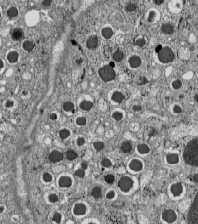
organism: C57BL Mouse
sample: Pancreatic islet